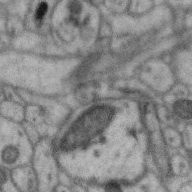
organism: Zebra finch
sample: Brain